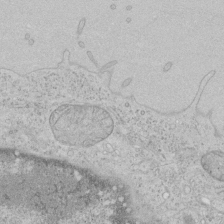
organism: Human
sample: Mitochondria in HCT116 cells